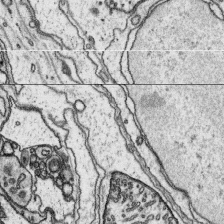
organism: Platynereis dumerilii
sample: Parapodia